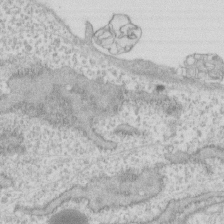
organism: Human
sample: Fibroblast cells